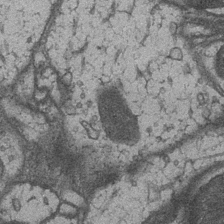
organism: Drosophila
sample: Optic medulla